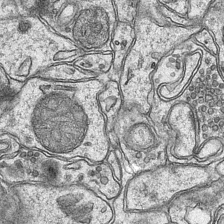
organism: Mouse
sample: CA1 Hippocampus